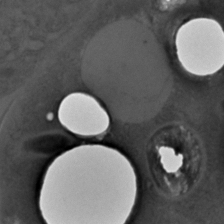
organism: C. elegans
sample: C. elegans embryo